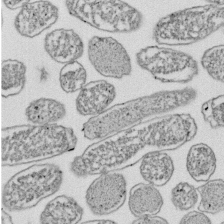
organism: E. coli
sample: Bacterial nucleoid